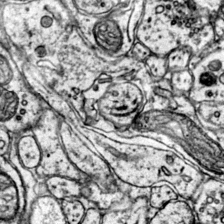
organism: Mouse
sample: Primary visual cortex